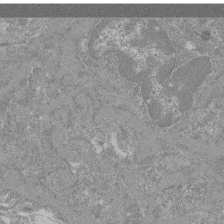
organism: Mouse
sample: Glomerulus